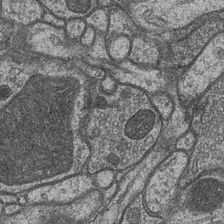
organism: Drosophila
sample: Optic medulla